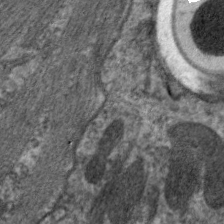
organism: C. elegans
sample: Pharynx